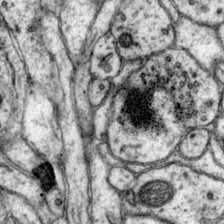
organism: Mouse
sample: Primary visual cortex